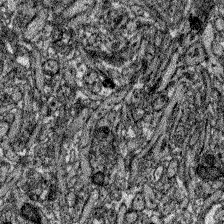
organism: Zebrafish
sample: Larval olfactory bulb